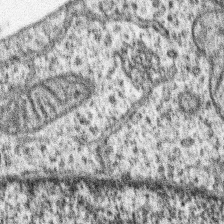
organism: Human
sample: HeLa cells